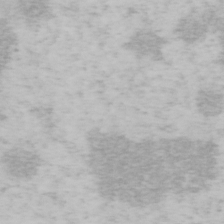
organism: Mouse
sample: OT-I killer T cells with ID8 ovarian cancer cells